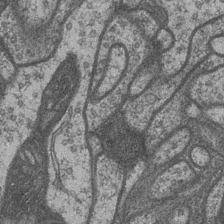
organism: Drosophila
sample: Optic medulla